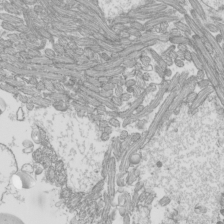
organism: Mouse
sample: Cilia; mouse epididymis